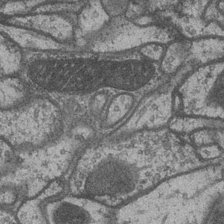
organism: Drosophila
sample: Optic medulla